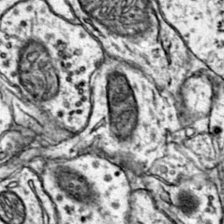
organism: Mouse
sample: Primary visual cortex